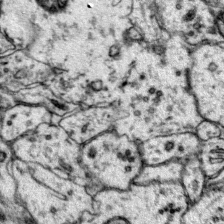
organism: Mouse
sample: Primary visual cortex